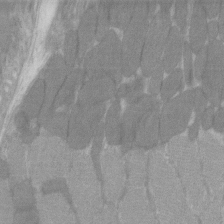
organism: C57BL Mouse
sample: Tibialis anterior muscle cell